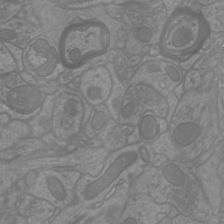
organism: Mouse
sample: Cortical neurons